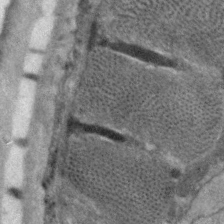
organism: C. elegans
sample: Pharynx